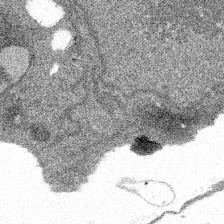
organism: Spongilla lacustris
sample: Multiple